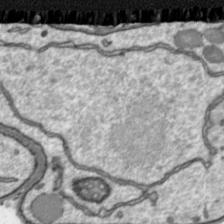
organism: Toxoplasma gondii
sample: Parasites in a vacuole inside a host cell